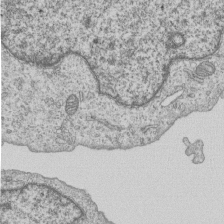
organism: Human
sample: MDA-MB-231 cells